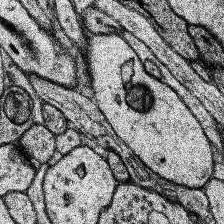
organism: Human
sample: Temporal Lobe